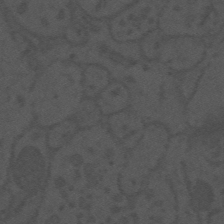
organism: Mouse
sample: Suprachiasmatic nucleus